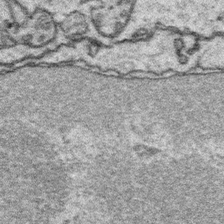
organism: Platynereis dumerilii